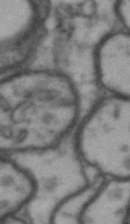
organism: Drosophila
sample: Brain